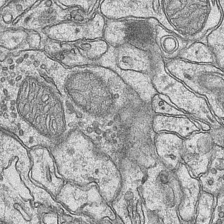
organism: Mouse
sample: CA1 Hippocampus